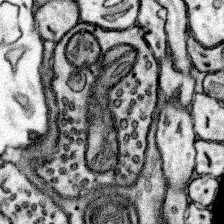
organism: Mouse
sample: Somatosensory cortex neuropil